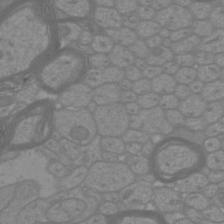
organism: Mouse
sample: Cortical neurons